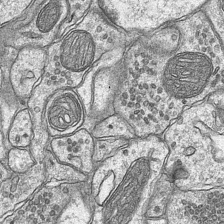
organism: Mouse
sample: CA1 Hippocampus